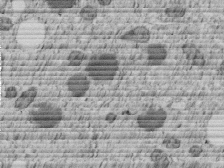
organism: C. elegans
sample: C. elegans embryo early stage